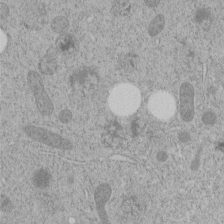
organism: C. elegans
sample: C. elegans embryo early stage